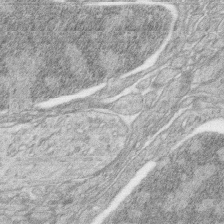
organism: Zebrafish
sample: synaptic ribbons in rod cells and cone cells